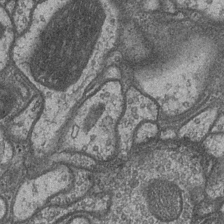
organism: Drosophila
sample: Optic medulla